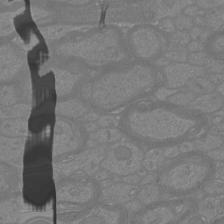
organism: Mouse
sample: Cortical neurons